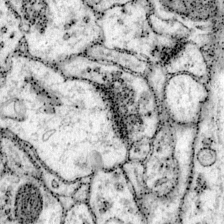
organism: Mouse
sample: Primary visual cortex